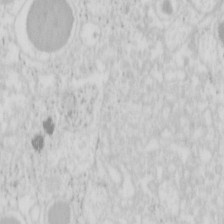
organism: Mouse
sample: Pancreas